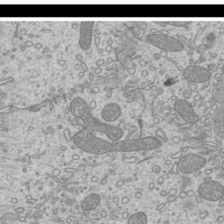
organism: Mouse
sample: Cilia; mouse epididymis